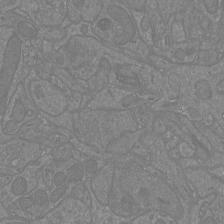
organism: Mouse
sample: Cortical neurons